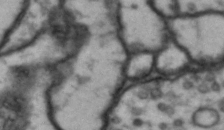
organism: Drosophila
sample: Brain